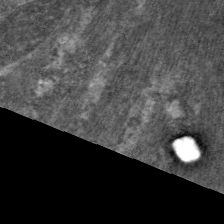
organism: C. elegans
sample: Pharynx